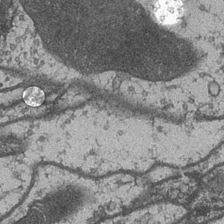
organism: Drosophila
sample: Optic medulla